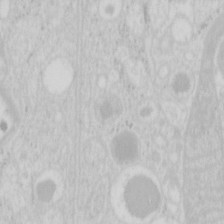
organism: Mouse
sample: Pancreas